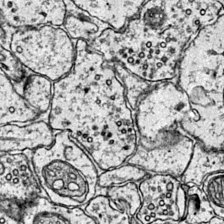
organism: Mouse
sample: Primary visual cortex